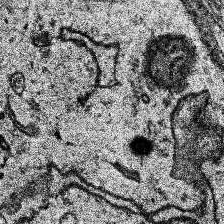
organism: Human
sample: Temporal Lobe